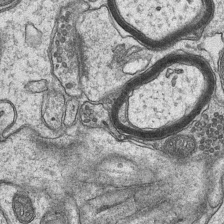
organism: Mouse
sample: CA1 Hippocampus